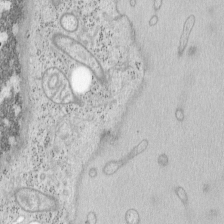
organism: Mouse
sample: OT-I killer T cells with ID8 ovarian cancer cells